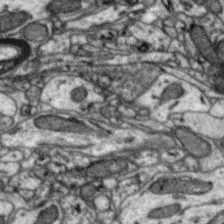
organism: Zebra finch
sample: Brain